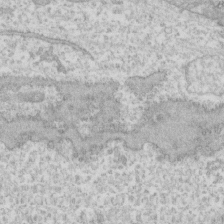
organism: Human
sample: CRL-1474